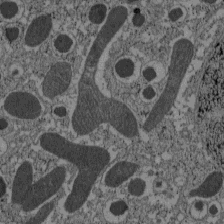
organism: C57BL Mouse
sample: Pancreatic islet